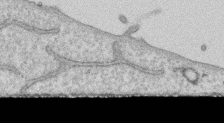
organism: Human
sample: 1205lu cells